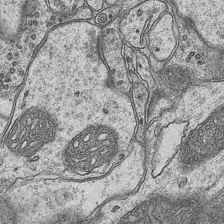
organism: Mouse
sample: CA1 Hippocampus